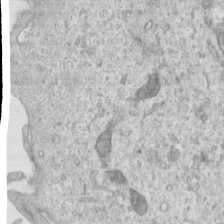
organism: Human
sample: Centriole in RPE cells